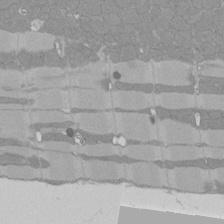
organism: Rat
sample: Left ventricle